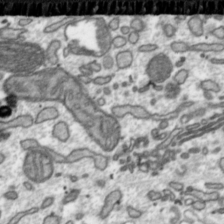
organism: Toxoplasma gondii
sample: Parasites in a vacuole inside a host cell